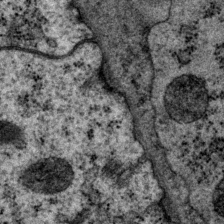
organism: P. pacificus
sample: Pharynx